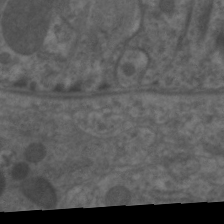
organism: C. elegans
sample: Pharynx